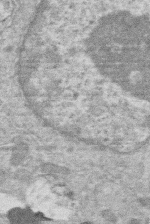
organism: Human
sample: Macrophage cells